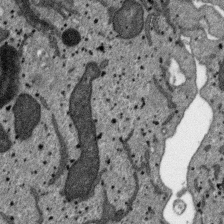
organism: Human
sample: Lung epithelial cells, uninfected (mock) control